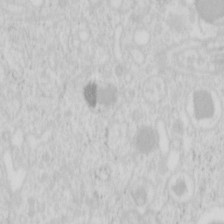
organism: Mouse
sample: Pancreas